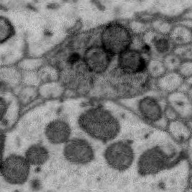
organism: Zebra finch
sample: Brain